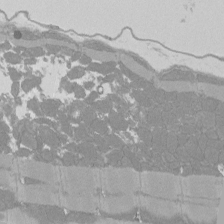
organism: Rat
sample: Left ventricle